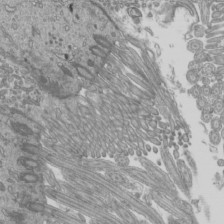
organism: Mouse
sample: Cilia; mouse epididymis